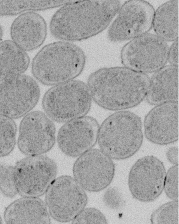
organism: E. coli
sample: Bacterial nucleoid